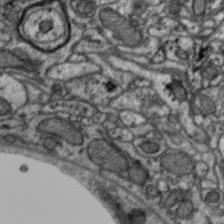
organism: Zebra finch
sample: Brain